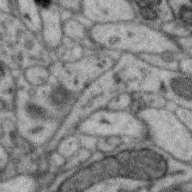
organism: Zebra finch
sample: Brain